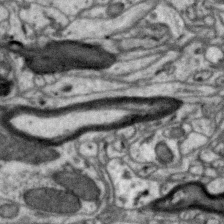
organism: Zebra finch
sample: Brain